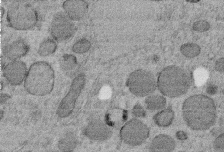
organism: C. elegans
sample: C. elegans embryo early stage